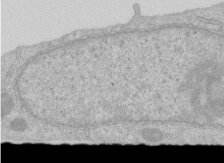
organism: Human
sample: Centriole in RPE cells